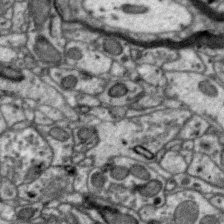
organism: Zebra finch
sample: Brain